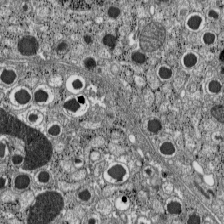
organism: C57BL Mouse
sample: Pancreatic islet